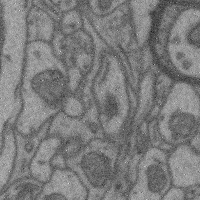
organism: Mouse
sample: Cerebral cortex